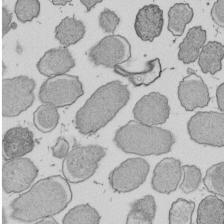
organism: E. coli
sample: Bacterial nucleoid